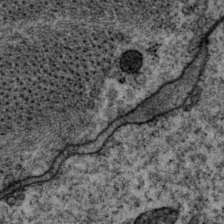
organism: P. pacificus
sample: Pharynx